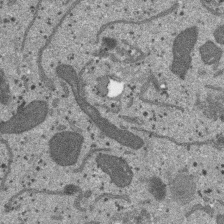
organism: Human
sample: Lung epithelial cells infected with SARS-CoV-2